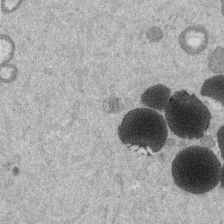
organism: Mouse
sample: Dividing mouse embryo 1 cell stage